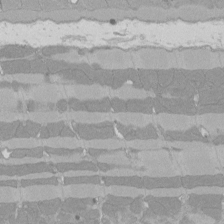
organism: Rat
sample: Left ventricle